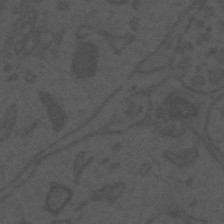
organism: Mouse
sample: Suprachiasmatic nucleus